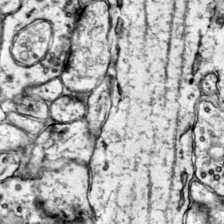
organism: Mouse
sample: Primary visual cortex